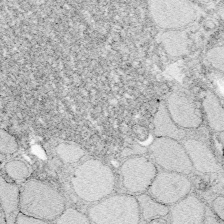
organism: Zebrafish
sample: Whole-Brain